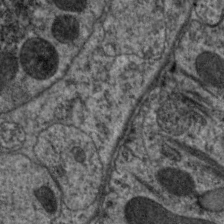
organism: C. elegans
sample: Pharynx